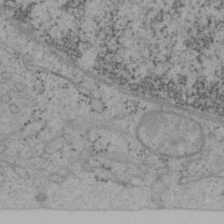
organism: Human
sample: HeLa cells